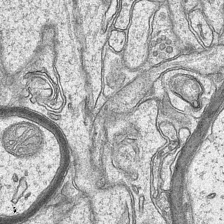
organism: Mouse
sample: CA1 Hippocampus